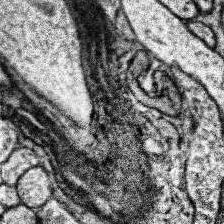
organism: Human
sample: Temporal Lobe